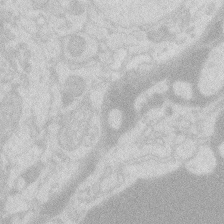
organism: Zebrafish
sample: Macrophage